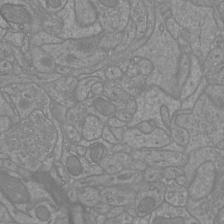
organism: Mouse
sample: Cortical neurons